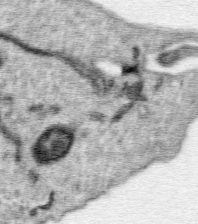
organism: Human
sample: HeLa cells